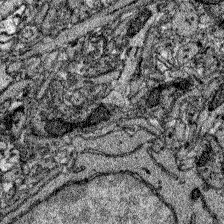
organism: Zebrafish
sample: Larval olfactory bulb